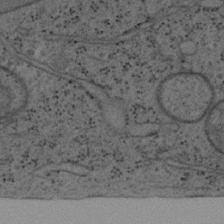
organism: Human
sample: HeLa cells